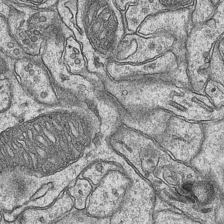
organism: Mouse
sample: CA1 Hippocampus